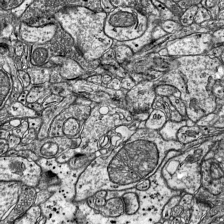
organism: Mouse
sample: Visual Cortex